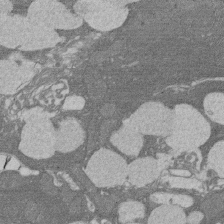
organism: Rat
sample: Salivary granule